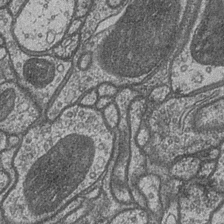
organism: Drosophila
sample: Optic medulla